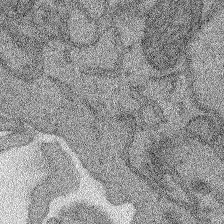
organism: Human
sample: HeLa cells